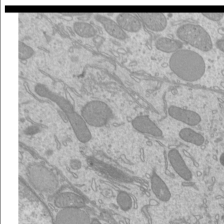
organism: Mouse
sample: Cilia; mouse epididymis